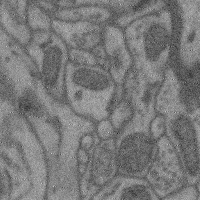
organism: Mouse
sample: Cerebral cortex